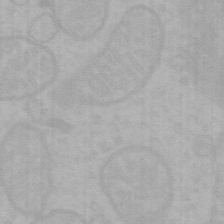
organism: Mouse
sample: Choroid plexus